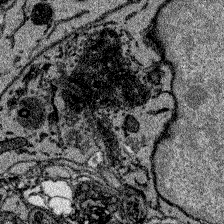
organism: Zebrafish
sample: Larval olfactory bulb